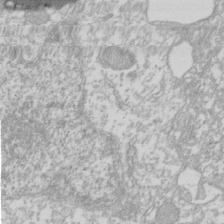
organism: Xenopus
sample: Cilia; centrioles in frog embryo cells